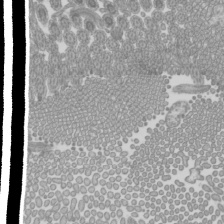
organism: Mouse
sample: Cilia; mouse epididymis